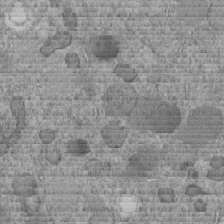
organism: C. elegans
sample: C. elegans embryo early stage